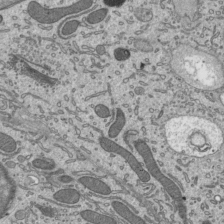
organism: Mouse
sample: Mouse epididymis efferent ductule cilia